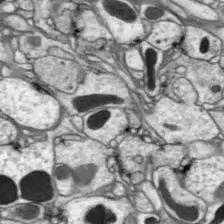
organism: Drosophila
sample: Optic lobe